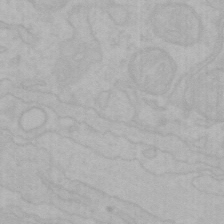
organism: Mouse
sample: Choroid plexus